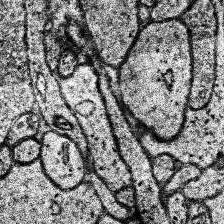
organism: Human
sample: Temporal Lobe